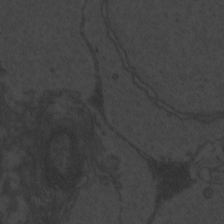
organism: Zebrafish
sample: Macrophage infected with Toxoplasma gondii